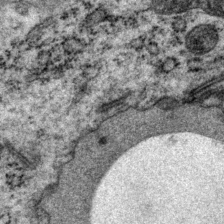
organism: P. pacificus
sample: Pharynx